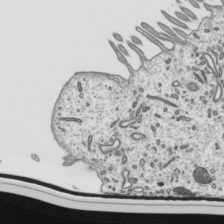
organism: Mouse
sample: Mouse epididymis efferent ductule cilia